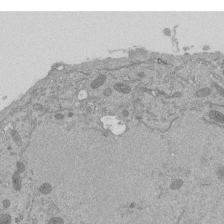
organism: Mouse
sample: ED-1 cell nuclei; centrioles